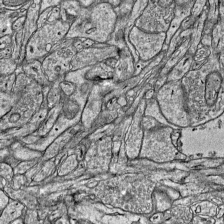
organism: Mouse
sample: Visual Cortex